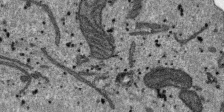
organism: Human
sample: Lung epithelial cells, uninfected (mock) control